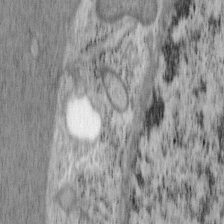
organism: Human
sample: HeLa cells